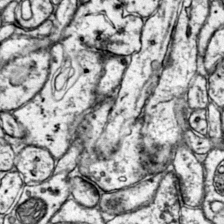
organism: Mouse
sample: Primary visual cortex